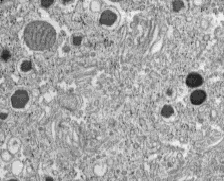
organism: C57BL Mouse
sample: Pancreatic islet